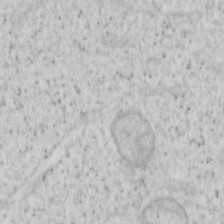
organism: Human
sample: HeLa cells